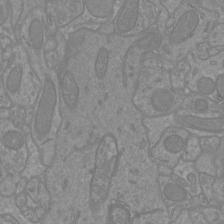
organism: Mouse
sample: Cortical neurons